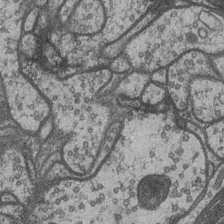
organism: Drosophila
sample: Optic medulla